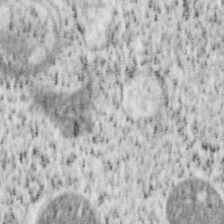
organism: Mouse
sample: OT-I killer T cells with ID8 ovarian cancer cells